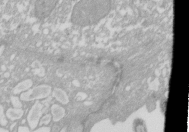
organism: Xenopus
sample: Cilia; centrioles in frog embryo cells